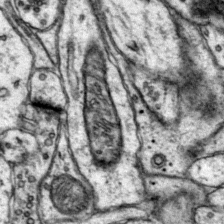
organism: Mouse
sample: Primary visual cortex